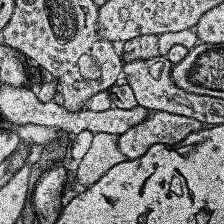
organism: Human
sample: Temporal Lobe